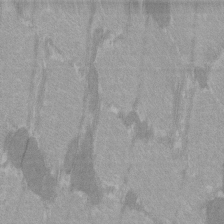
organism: C57BL Mouse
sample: Tibialis anterior muscle cell